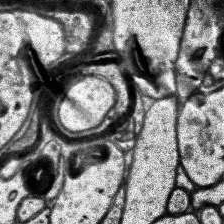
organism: Human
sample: Temporal Lobe